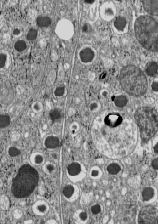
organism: C57BL Mouse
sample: Pancreatic islet